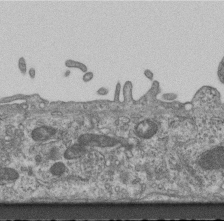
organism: Mouse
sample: Centriole in ependymal cells